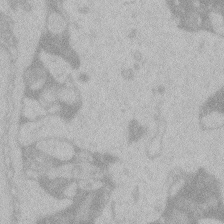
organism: Zebrafish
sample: Macrophage infected with Toxoplasma gondii